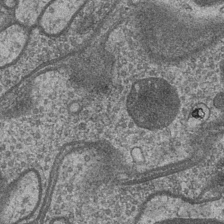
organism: Drosophila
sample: Optic medulla